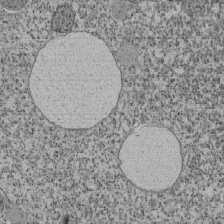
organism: Tetrahymena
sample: Cilia in tetrahymena